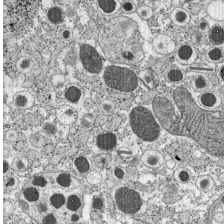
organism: C57BL Mouse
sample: Pancreatic islet